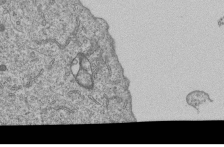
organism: Human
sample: MDA-MB-231 cells